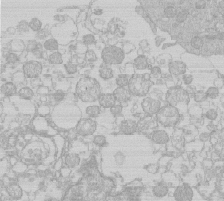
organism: Human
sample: Macrophage cells